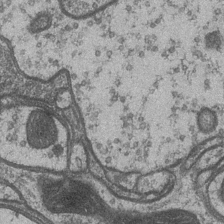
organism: Drosophila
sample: Optic medulla